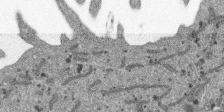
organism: Human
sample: Lung epithelial cells infected with SARS-CoV-2